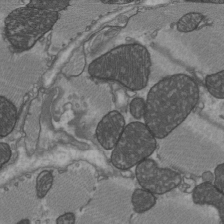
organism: C57BL Mouse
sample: Heart